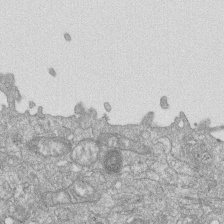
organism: Human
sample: HeLa cell HIV synapse